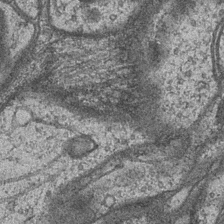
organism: Drosophila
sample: Optic medulla